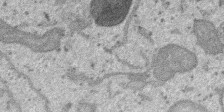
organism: Human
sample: Lung epithelial cells infected with SARS-CoV-2